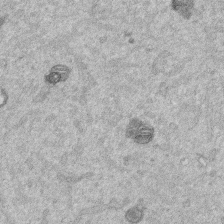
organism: Mouse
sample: Dividing mouse embryo 1 cell stage